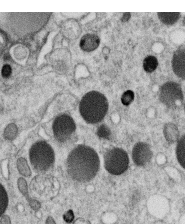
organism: C. elegans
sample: C. elegans oocyte; sperm cells